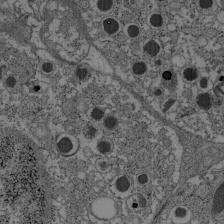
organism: C57BL Mouse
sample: Pancreatic islet